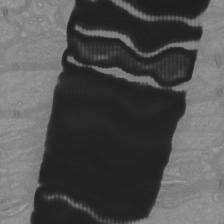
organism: Mouse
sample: Cortical neurons